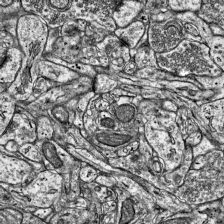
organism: Mouse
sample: Visual Cortex